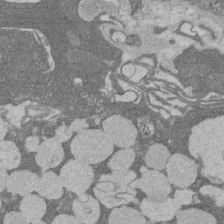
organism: Rat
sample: Salivary granule